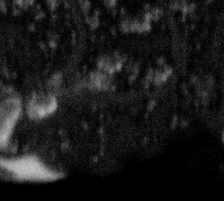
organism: Gemmata obscuriglobus